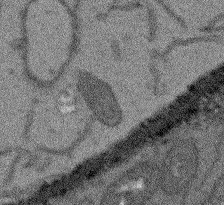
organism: Arabidopsis thaliana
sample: Root tip